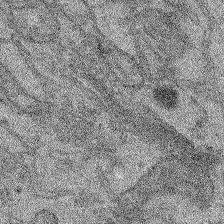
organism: Human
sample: HeLa cells